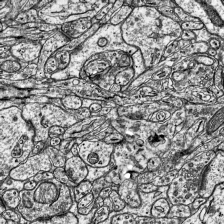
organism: Mouse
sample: Visual Cortex